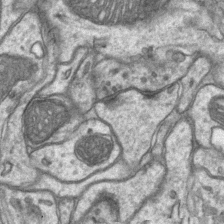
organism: Mouse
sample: CA1 Hippocampus